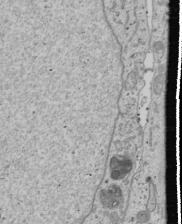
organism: Human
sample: Mitochondria in U2OS cells